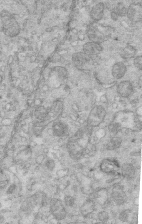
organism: Mouse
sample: Multiciliated cells